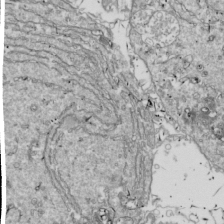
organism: Drosophila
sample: Cell division; meiosis; drosophila spermatocytes